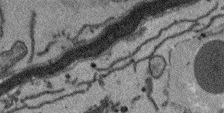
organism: Arabidopsis thaliana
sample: Root tip